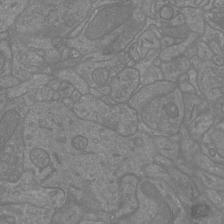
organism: Mouse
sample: Cortical neurons